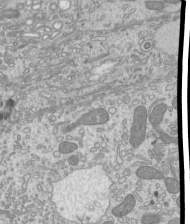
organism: Mouse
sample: Cilia; mouse epididymis